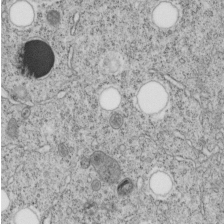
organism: C. elegans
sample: C. elegans embryo early stage